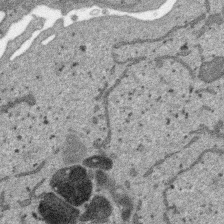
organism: Human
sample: Lung epithelial cells infected with SARS-CoV-2